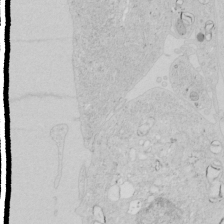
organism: Human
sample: Mitochondria in HCT116 cells